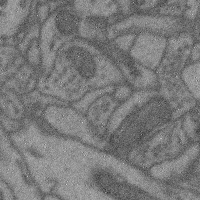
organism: Mouse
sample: Cerebral cortex